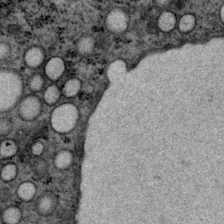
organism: P. pacificus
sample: Pharynx